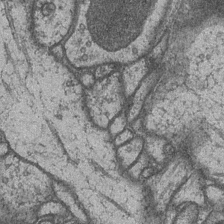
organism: Drosophila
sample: Optic medulla